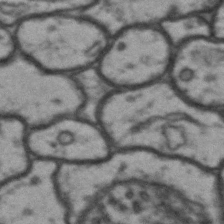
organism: Drosophila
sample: Brain